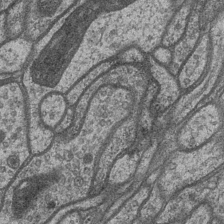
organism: Drosophila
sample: Optic medulla